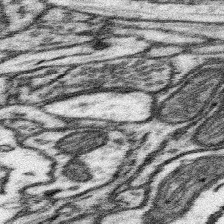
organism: Mouse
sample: Somatosensory cortex neuropil